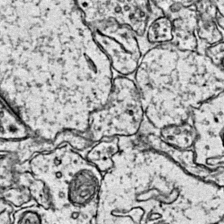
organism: Mouse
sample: Primary visual cortex